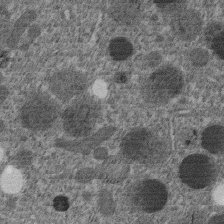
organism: C. elegans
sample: C. elegans embryo early stage